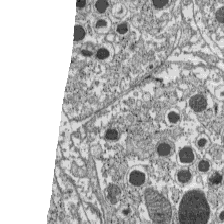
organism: C57BL Mouse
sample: Pancreatic islet